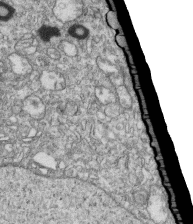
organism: Human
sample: HeLa cell HIV synapse